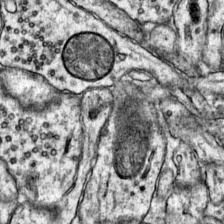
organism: Mouse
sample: Primary visual cortex